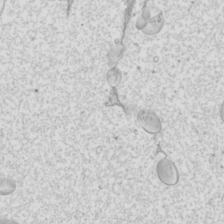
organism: Mouse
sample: Cilia; mouse epididymis